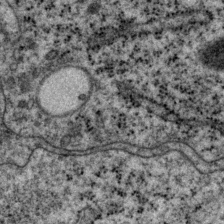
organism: P. pacificus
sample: Pharynx